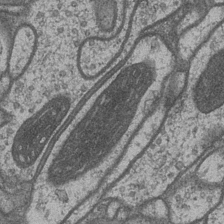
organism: Drosophila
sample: Optic medulla